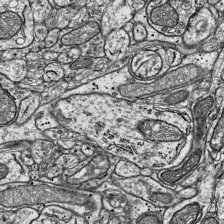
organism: Mouse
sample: Visual Cortex